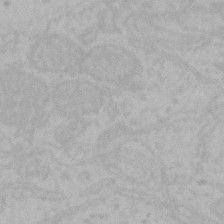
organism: Mouse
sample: Choroid plexus